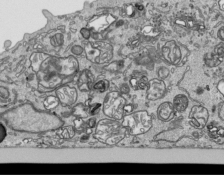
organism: Human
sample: Mitochondria in HCT116 cells